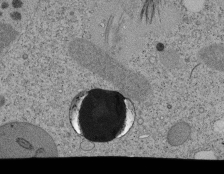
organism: Tetrahymena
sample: Cilia in tetrahymena